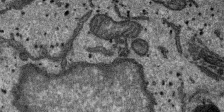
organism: Human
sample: Lung epithelial cells, uninfected (mock) control